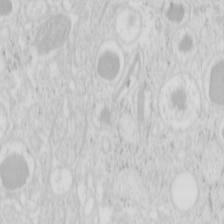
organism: Mouse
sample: Pancreas